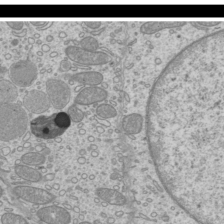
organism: Mouse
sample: Cilia; mouse epididymis